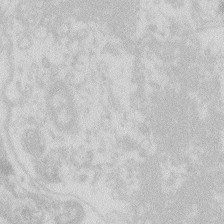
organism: Zebrafish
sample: Macrophage